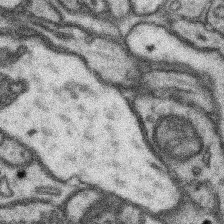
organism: Mouse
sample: Somatosensory cortex neuropil